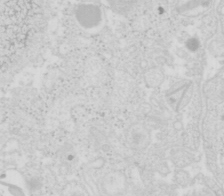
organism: Mouse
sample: Pancreas